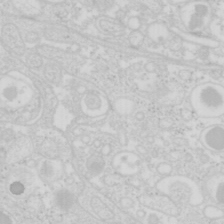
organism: Mouse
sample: Pancreas